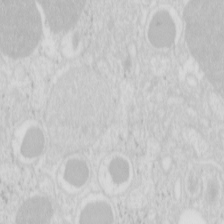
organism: Mouse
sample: Pancreas